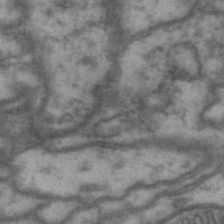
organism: Drosophila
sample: Brain